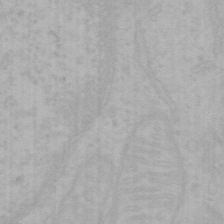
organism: Mouse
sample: Choroid plexus